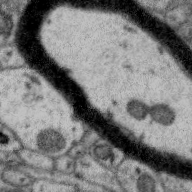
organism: Zebra finch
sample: Brain